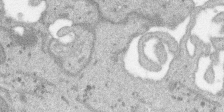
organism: Human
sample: Lung epithelial cells infected with SARS-CoV-2